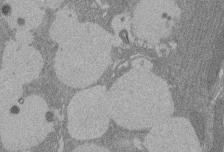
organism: Rat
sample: Salivary granule